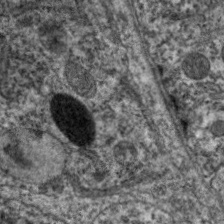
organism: C. elegans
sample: Pharynx